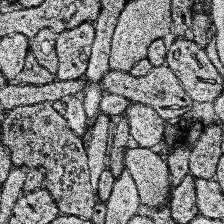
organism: Human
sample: Temporal Lobe